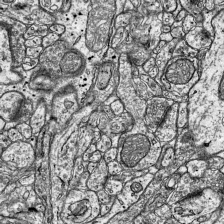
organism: Mouse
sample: Visual Cortex